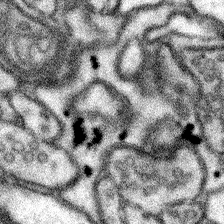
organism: Mouse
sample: Somatosensory cortex neuropil